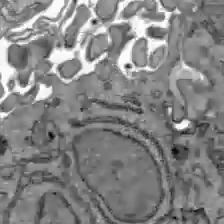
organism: C57BL Mouse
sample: Liver